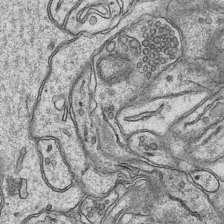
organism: Mouse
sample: CA1 Hippocampus